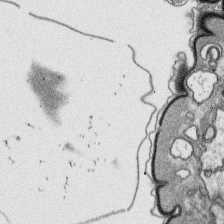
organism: Platynereis dumerilii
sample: Parapodia